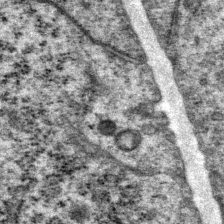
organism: P. pacificus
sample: Pharynx